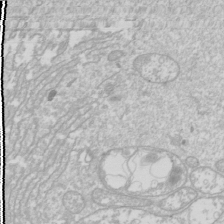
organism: Drosophila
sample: Cell division; meiosis; drosophila spermatocytes